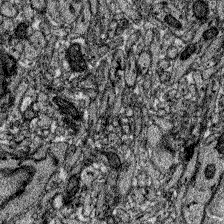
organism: Zebrafish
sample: Larval olfactory bulb